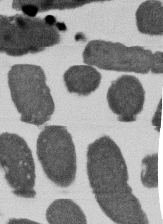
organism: E. coli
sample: Bacterial nucleoid